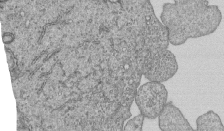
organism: Human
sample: MDA-MB-231 cells